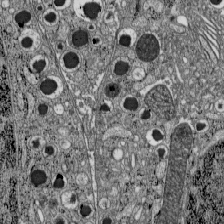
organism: C57BL Mouse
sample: Pancreatic islet